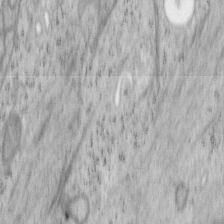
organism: Human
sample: HeLa cells